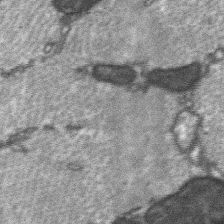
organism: C57BL Mouse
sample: Soleus